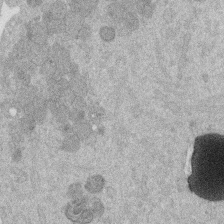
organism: Mouse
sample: Dividing mouse embryo 1 cell stage